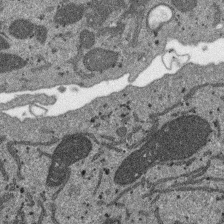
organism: Human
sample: Lung epithelial cells infected with SARS-CoV-2